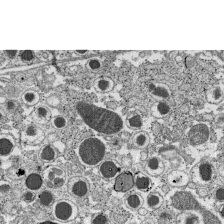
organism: C57BL Mouse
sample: Pancreatic islet